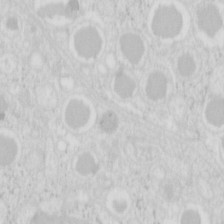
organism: Mouse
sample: Pancreas